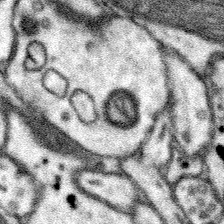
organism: Mouse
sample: Somatosensory cortex neuropil